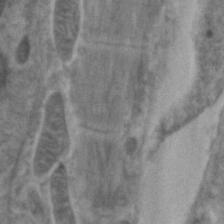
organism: Zebrafish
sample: Zebrafish embryo